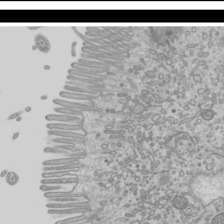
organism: Mouse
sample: Cilia; mouse epididymis